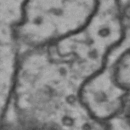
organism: Drosophila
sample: Brain